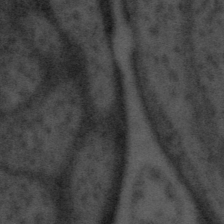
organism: Tuwongella immobilis